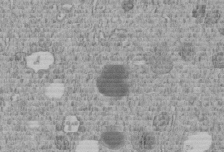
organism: C. elegans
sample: C. elegans embryo early stage